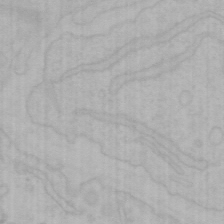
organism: Mouse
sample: Choroid plexus